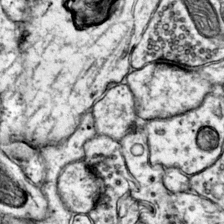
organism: Mouse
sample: Primary visual cortex